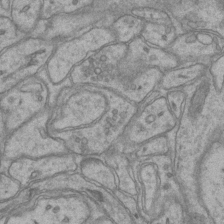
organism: Mouse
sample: CA1 Hippocampus